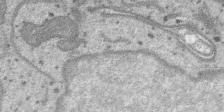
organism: Human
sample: Lung epithelial cells infected with SARS-CoV-2